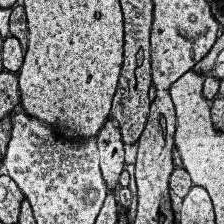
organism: Human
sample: Temporal Lobe